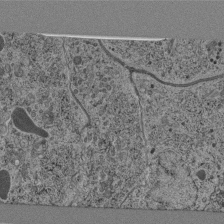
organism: C. elegans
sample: C. elegans pharynx